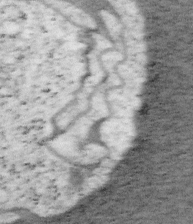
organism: Mouse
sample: OT-I killer T cells with ID8 ovarian cancer cells